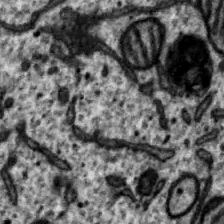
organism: Human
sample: HeLa cells